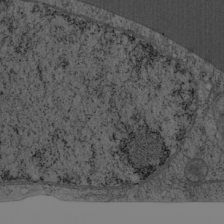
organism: African green monkey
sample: COS-7 cells